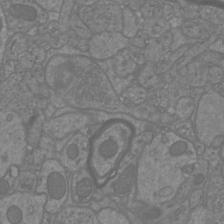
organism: Mouse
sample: Cortical neurons